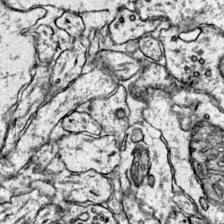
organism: Mouse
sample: Primary visual cortex